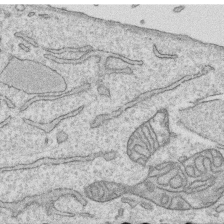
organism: Human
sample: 1205lu cells